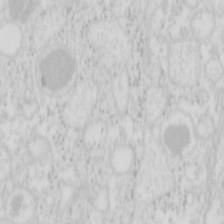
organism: Mouse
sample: Pancreas